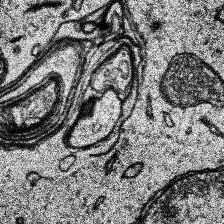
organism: Human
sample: Temporal Lobe